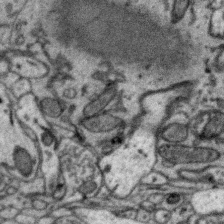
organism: Zebra finch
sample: Brain